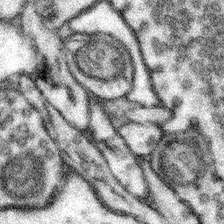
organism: Mouse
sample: Somatosensory cortex neuropil